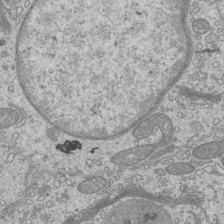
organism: Mouse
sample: Cilia; mouse epididymis